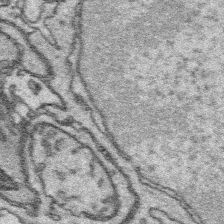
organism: Platynereis dumerilii